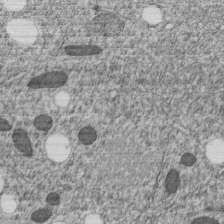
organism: C. elegans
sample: C. elegans embryo early stage